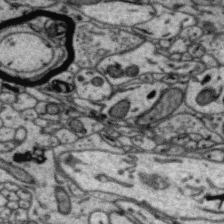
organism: Zebra finch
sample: Brain